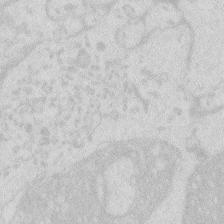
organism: Zebrafish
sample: Macrophage